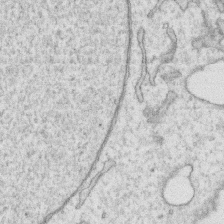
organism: Human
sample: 1205lu cells